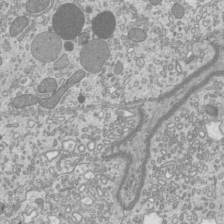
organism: Mouse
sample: Cilia; mouse epididymis